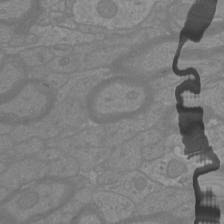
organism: Mouse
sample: Cortical neurons